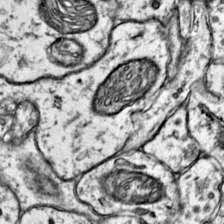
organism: Mouse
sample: Primary visual cortex